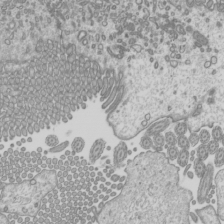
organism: Mouse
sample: Cilia; mouse epididymis